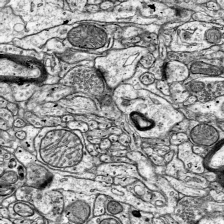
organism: Mouse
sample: Visual Cortex